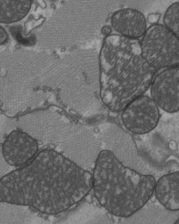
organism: C57BL Mouse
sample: Heart